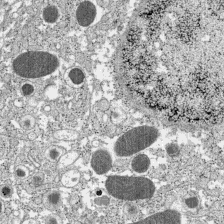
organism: C57BL Mouse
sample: Pancreatic islet